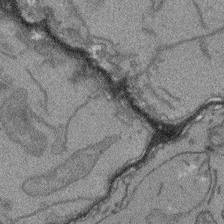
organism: Arabidopsis thaliana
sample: Root tip